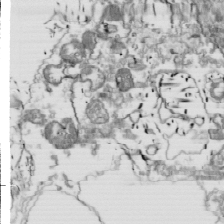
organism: Drosophila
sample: Cell division; meiosis; drosophila spermatocytes